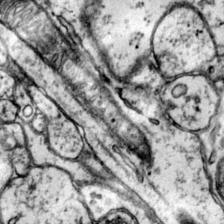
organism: Mouse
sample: Primary visual cortex